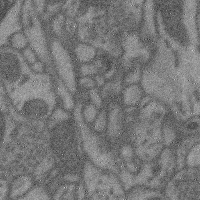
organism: Mouse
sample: Cerebral cortex